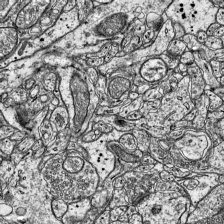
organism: Mouse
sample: Visual Cortex